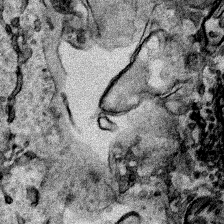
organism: Human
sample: Mitochondria in HCT116 cells